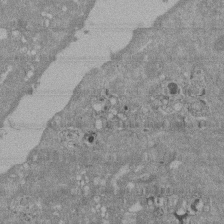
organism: Mouse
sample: ED-1 cell nuclei; centrioles